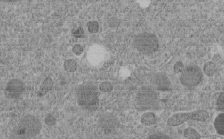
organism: C. elegans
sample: C. elegans embryo early stage